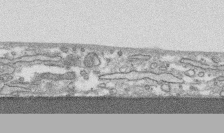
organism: Human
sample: CRL-1474